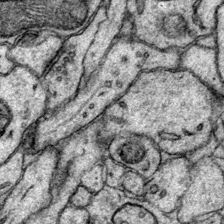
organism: Mouse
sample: Primary visual cortex